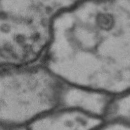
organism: Drosophila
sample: Brain